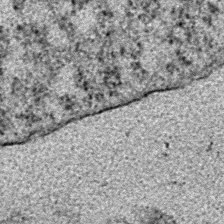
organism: E. coli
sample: E. Coli Bacteria